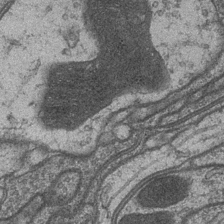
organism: Drosophila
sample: Optic medulla